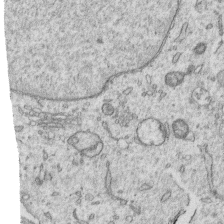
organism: Human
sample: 1205lu cells